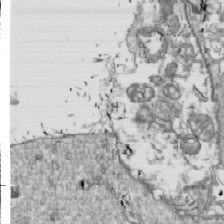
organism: Drosophila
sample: Cell division; meiosis; drosophila spermatocytes